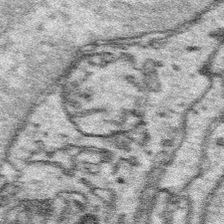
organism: Platynereis dumerilii